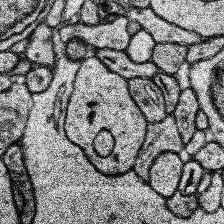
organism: Human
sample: Temporal Lobe